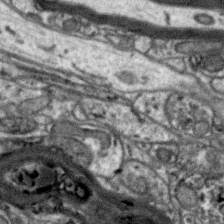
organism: Zebra finch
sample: Brain